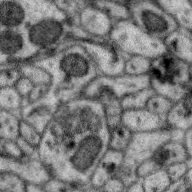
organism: Zebra finch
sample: Brain